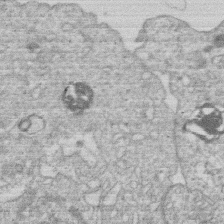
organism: Human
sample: Macrophage cells